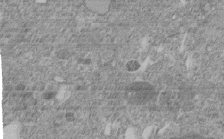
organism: C. elegans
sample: C. elegans embryo early stage